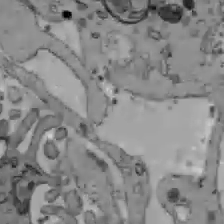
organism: C57BL Mouse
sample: Liver